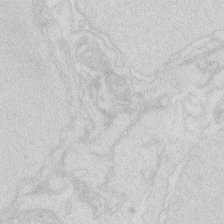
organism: Zebrafish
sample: Macrophage